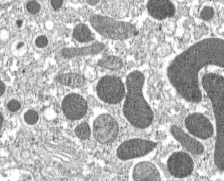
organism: C57BL Mouse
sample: Pancreatic islet